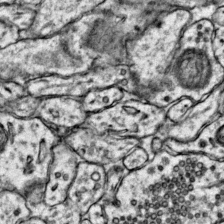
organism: Mouse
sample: Primary visual cortex